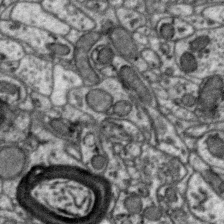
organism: Zebra finch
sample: Brain